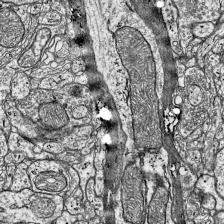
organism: Mouse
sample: Visual Cortex